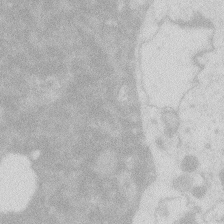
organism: Zebrafish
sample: Macrophage